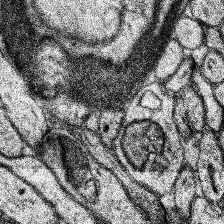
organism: Human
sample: Temporal Lobe